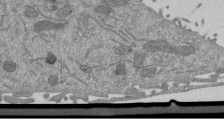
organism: Mouse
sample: ED-1 cell nuclei; centrioles